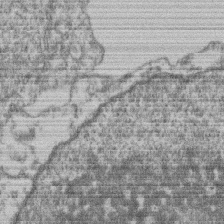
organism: Mouse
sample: T cell stromal cell synapse